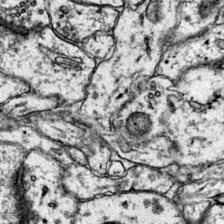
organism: Mouse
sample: Primary visual cortex